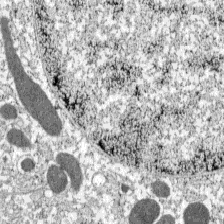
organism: C57BL Mouse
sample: Pancreatic islet